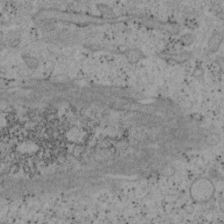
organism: Human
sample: HeLa cells